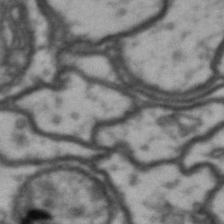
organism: Drosophila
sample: Brain